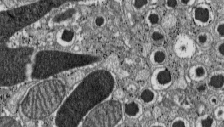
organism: C57BL Mouse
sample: Pancreatic islet